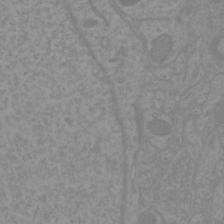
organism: Mouse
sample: Cortical neurons